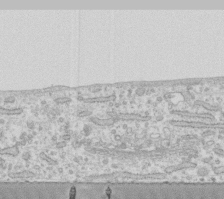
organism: Human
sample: Fibroblast cells